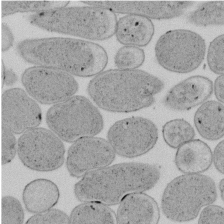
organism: E. coli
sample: Bacterial nucleoid